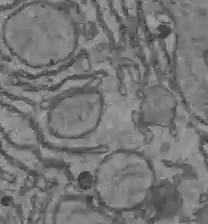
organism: C57BL Mouse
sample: Liver